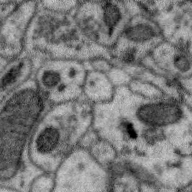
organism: Zebra finch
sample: Brain